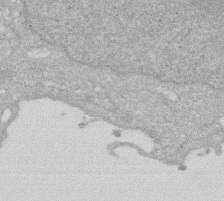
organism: Human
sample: HIV infected U937 cells